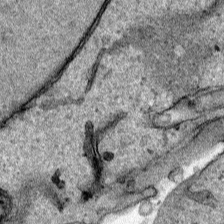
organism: Human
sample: Mitochondria in HCT116 cells